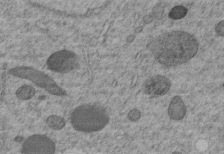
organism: C. elegans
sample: C. elegans embryo early stage